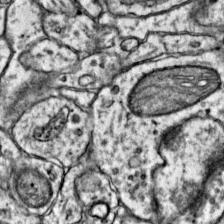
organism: Mouse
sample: Primary visual cortex